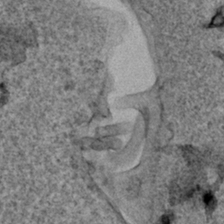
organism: Human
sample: Mitochondria in HCT116 cells